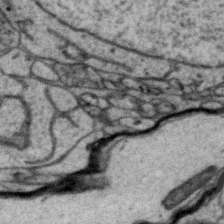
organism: Zebra finch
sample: Brain